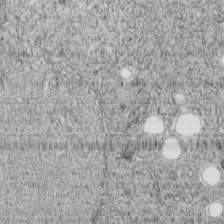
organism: C. elegans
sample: C. elegans embryo early stage